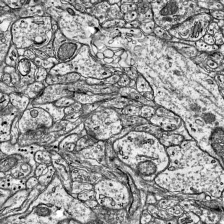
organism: Mouse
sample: Visual Cortex